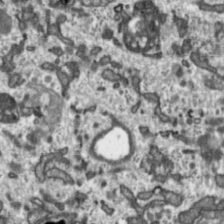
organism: Toxoplasma gondii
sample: Parasites in a vacuole inside a host cell